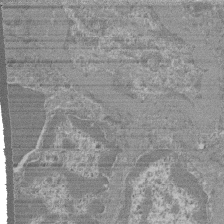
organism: Mouse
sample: Glomerulus